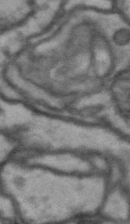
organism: Drosophila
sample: Brain